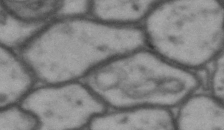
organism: Drosophila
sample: Brain